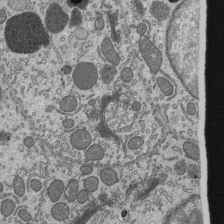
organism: Mouse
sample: Mouse epididymis efferent ductule cilia